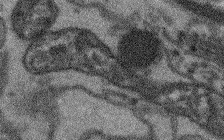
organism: Arabidopsis thaliana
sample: Root tip